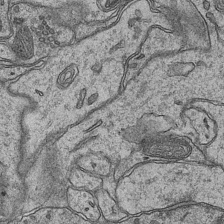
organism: Mouse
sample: CA1 Hippocampus